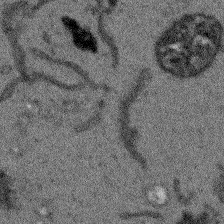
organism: Arabidopsis thaliana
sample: Root tip